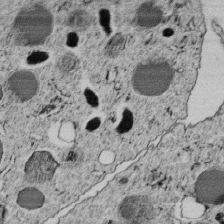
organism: C. elegans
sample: C. elegans embryo early stage